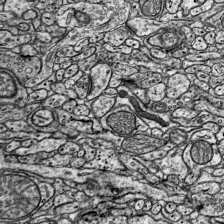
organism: Mouse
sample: Visual Cortex